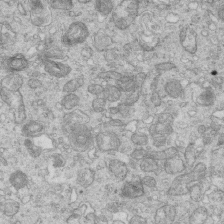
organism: Mouse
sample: Multiciliated cells